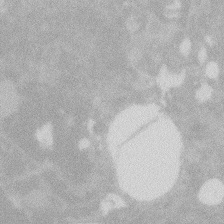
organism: Zebrafish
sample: Macrophage